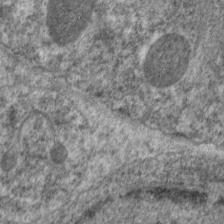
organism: C. elegans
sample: Pharynx